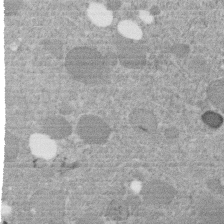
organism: C. elegans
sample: C. elegans embryo early stage